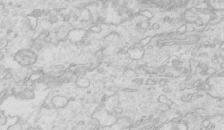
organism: Mouse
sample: Multiciliated cells